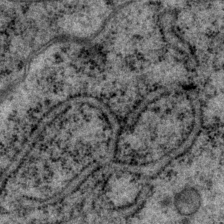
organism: P. pacificus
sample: Pharynx